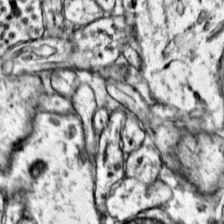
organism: Mouse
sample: Primary visual cortex